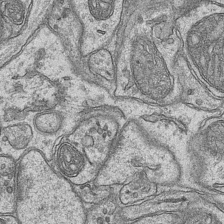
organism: Mouse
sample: CA1 Hippocampus